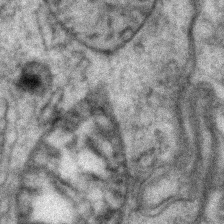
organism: Zebrafish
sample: Zebrafish embryo